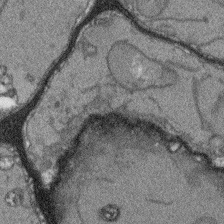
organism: Arabidopsis thaliana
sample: Root tip